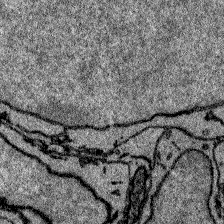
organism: Zebrafish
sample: Larval olfactory bulb